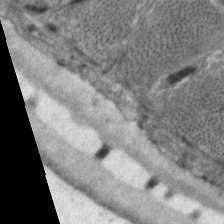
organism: C. elegans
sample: Pharynx